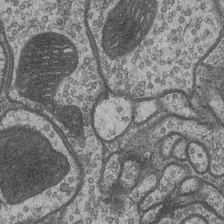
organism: Drosophila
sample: Optic medulla